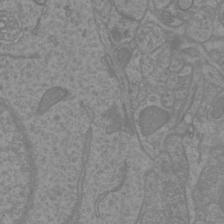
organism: Mouse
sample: Cortical neurons